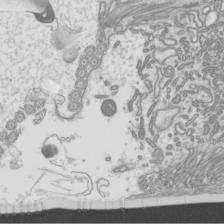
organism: Mouse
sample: Cilia; mouse epididymis